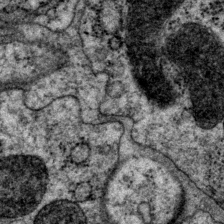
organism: P. pacificus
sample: Pharynx